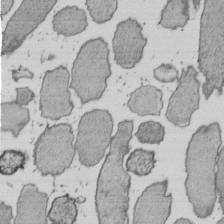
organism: E. coli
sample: Bacterial nucleoid